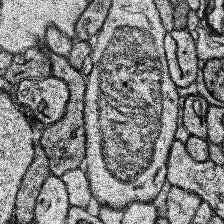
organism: Human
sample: Temporal Lobe